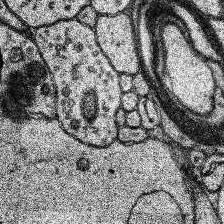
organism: Human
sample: Temporal Lobe